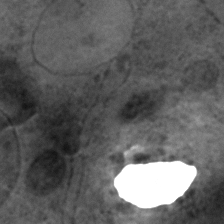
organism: C. elegans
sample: C. elegans embryo